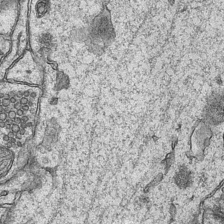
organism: Mouse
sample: CA1 Hippocampus